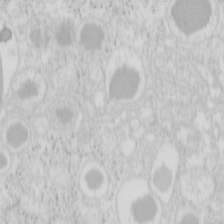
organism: Mouse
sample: Pancreas